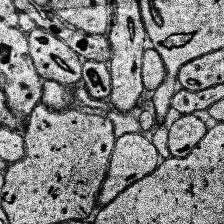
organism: Human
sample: Temporal Lobe